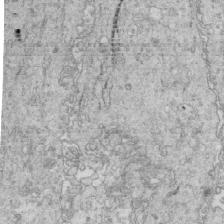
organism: Mouse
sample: Multiciliated cells